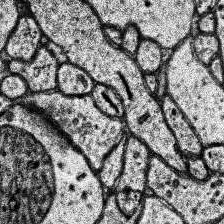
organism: Human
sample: Temporal Lobe